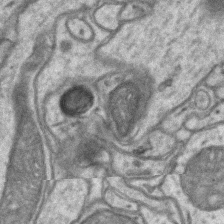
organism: Mouse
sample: CA1 Hippocampus